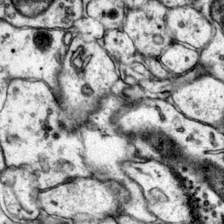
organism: Mouse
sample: Primary visual cortex